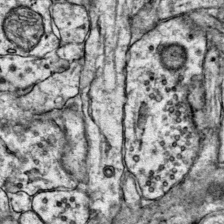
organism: Mouse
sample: Primary visual cortex